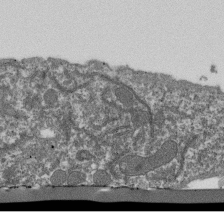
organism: Dictyostelium discoideum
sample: Dictyostelium multivesicular bodies